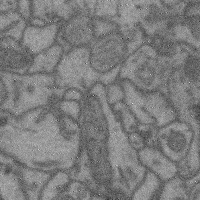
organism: Mouse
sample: Cerebral cortex